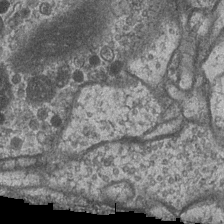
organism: Drosophila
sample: Optic medulla